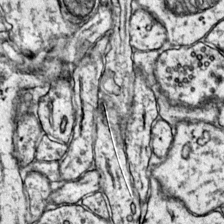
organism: Mouse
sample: Primary visual cortex